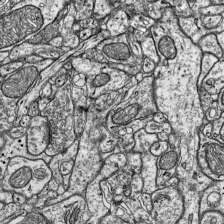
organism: Mouse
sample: Visual Cortex